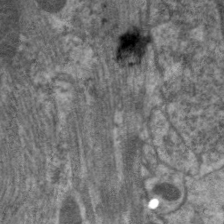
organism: C. elegans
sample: Pharynx